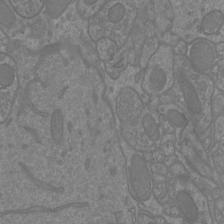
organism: Mouse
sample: Cortical neurons